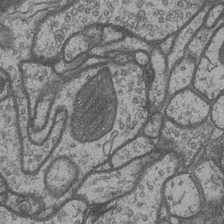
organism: Drosophila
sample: Optic medulla